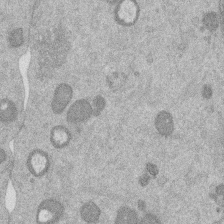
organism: Mouse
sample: Dividing mouse embryo 1 cell stage